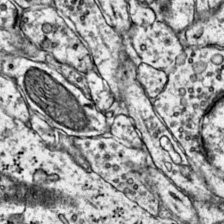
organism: Mouse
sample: Primary visual cortex